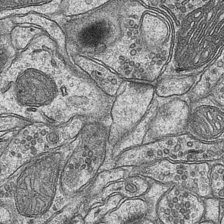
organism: Mouse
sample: CA1 Hippocampus